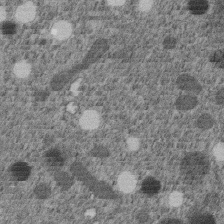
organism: C. elegans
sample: C. elegans embryo early stage